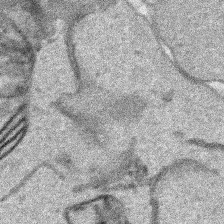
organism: Human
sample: Mitochondria in HCT116 cells